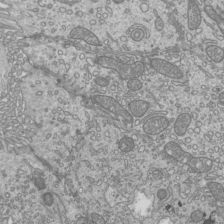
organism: Mouse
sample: Cilia; mouse epididymis